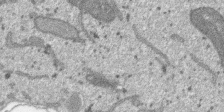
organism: Human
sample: Lung epithelial cells infected with SARS-CoV-2